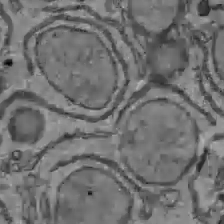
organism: C57BL Mouse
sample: Liver